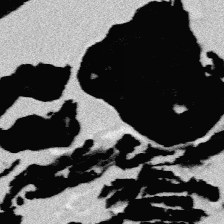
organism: Platynereis dumerilii